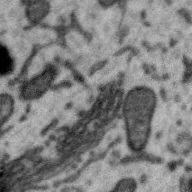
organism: Zebra finch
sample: Brain